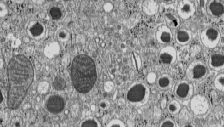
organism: C57BL Mouse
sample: Pancreatic islet